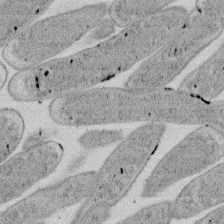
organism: E. coli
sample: Bacterial nucleoid